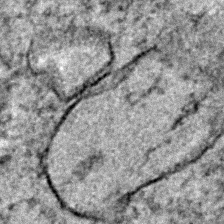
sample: Trachea